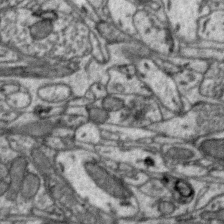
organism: Zebra finch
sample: Brain